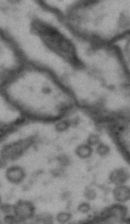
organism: Drosophila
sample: Brain